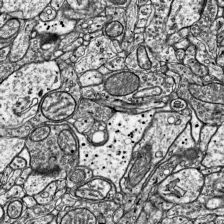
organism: Mouse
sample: Visual Cortex